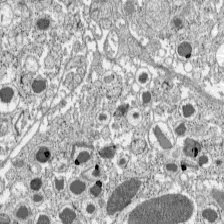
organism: C57BL Mouse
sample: Pancreatic islet